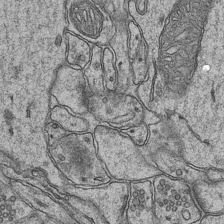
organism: Mouse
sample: CA1 Hippocampus